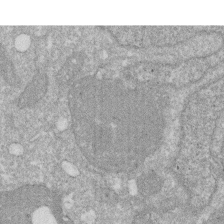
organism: Human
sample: HIV infected U937 cells